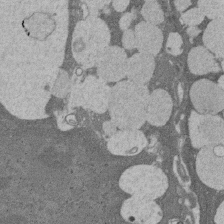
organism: Rat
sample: Salivary granule